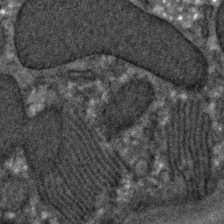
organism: C. elegans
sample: C. elegans embryo